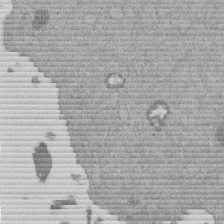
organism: Mouse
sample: Dividing mouse embryo 1 cell stage